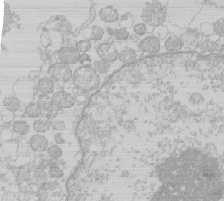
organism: Human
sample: Macrophage cells